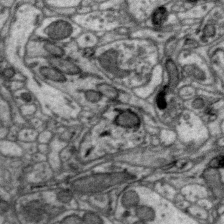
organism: Zebra finch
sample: Brain